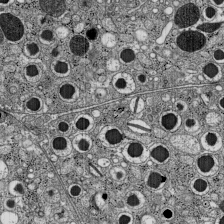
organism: C57BL Mouse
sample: Pancreatic islet